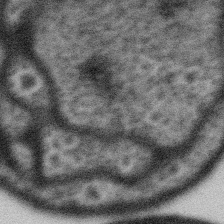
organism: Gemmata obscuriglobus